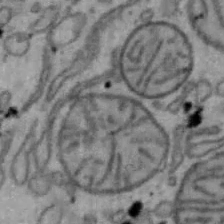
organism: Mouse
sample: Liver